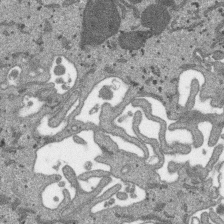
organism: Human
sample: Lung epithelial cells infected with SARS-CoV-2